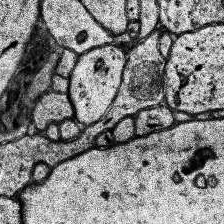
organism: Human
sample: Temporal Lobe